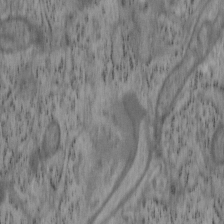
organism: Human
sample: HeLa cells